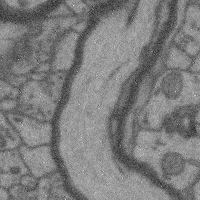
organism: Mouse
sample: Cerebral cortex